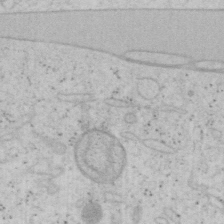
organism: Human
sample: HeLa cells